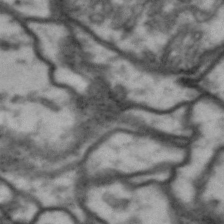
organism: Drosophila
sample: Brain